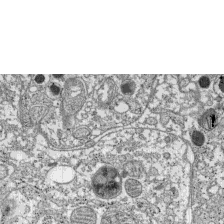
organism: C57BL Mouse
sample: Pancreatic islet